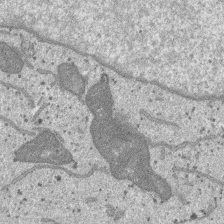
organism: Human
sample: Lung epithelial cells infected with SARS-CoV-2